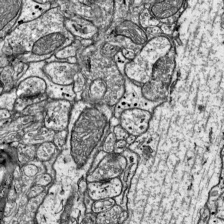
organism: Mouse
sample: Visual Cortex